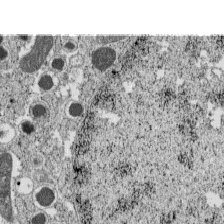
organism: C57BL Mouse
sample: Pancreatic islet